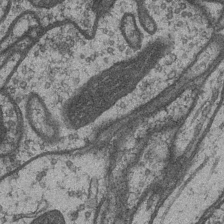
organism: Drosophila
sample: Optic medulla